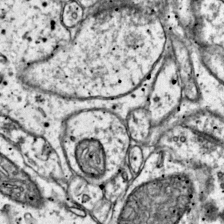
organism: Mouse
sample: Primary visual cortex